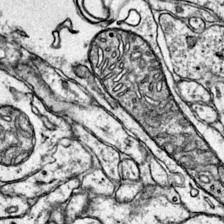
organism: Mouse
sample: Primary visual cortex